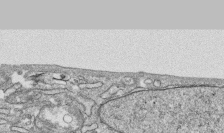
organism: Human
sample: CRL-1474